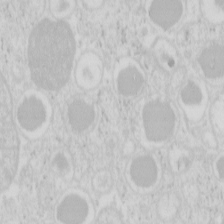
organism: Mouse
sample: Pancreas